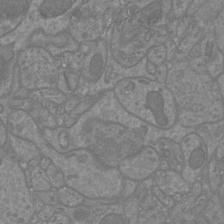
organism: Mouse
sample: Cortical neurons